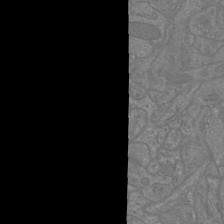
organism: Mouse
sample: Cortical neurons